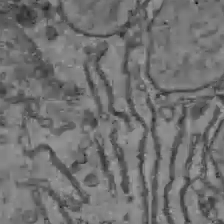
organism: C57BL Mouse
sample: Liver